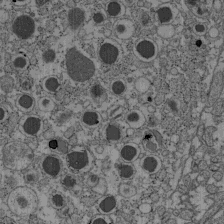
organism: C57BL Mouse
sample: Pancreatic islet